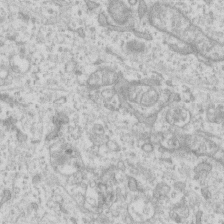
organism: Human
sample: Fibroblast cells